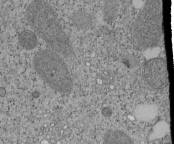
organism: Tetrahymena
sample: Cilia in tetrahymena